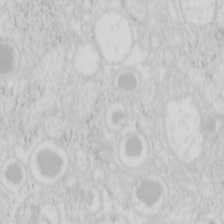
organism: Mouse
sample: Pancreas